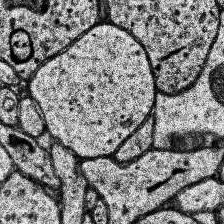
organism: Human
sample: Temporal Lobe